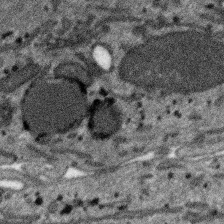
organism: Human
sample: Lung epithelial cells infected with SARS-CoV-2